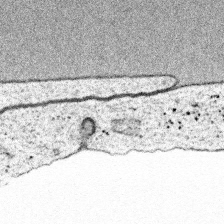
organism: Human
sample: HeLa cells